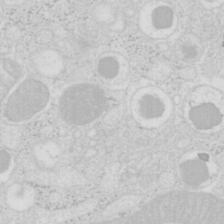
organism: Mouse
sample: Pancreas